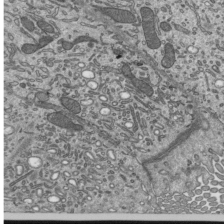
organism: Mouse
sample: Mouse epididymis efferent ductule cilia